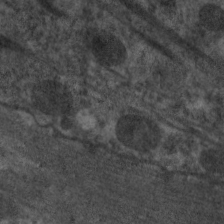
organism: C. elegans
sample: Pharynx